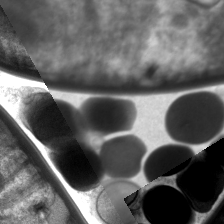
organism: C. elegans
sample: Pharynx